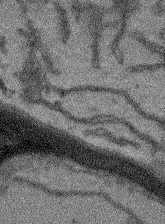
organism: Arabidopsis thaliana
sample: Root tip